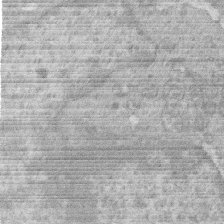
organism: Human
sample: Macrophage cells